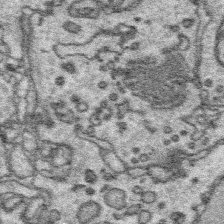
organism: Platynereis dumerilii